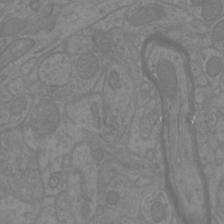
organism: Mouse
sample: Cortical neurons